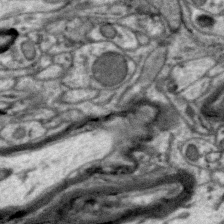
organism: Zebra finch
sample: Brain